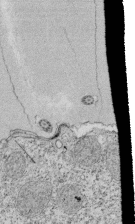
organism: Tetrahymena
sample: Cilia in tetrahymena